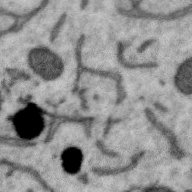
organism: Zebra finch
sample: Brain